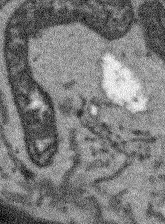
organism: Arabidopsis thaliana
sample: Root tip